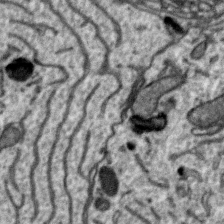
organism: Zebra finch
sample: Brain